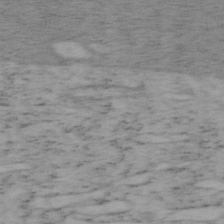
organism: Mouse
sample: OT-I killer T cells with ID8 ovarian cancer cells